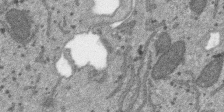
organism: Human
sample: Lung epithelial cells infected with SARS-CoV-2